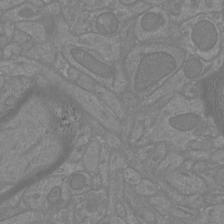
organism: Mouse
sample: Cortical neurons